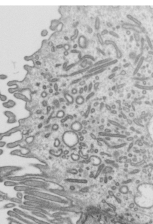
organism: Mouse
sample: Mouse epididymis efferent ductule cilia